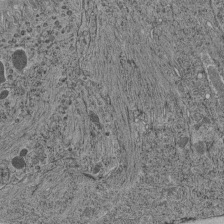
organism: C. elegans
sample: C. elegans pharynx